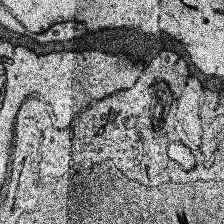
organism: Human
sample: Temporal Lobe